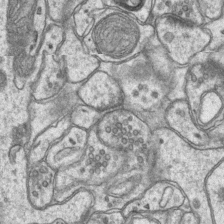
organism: Mouse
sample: CA1 Hippocampus